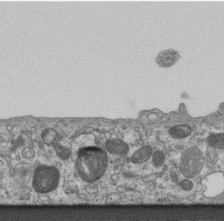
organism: Mouse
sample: Centriole in ependymal cells